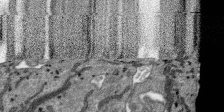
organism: Human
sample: Lung epithelial cells, uninfected (mock) control